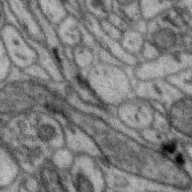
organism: Zebra finch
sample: Brain